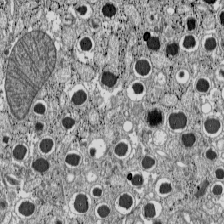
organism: C57BL Mouse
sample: Pancreatic islet